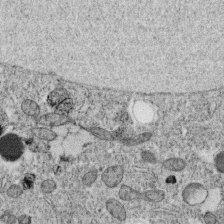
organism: C. elegans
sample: C. elegans oocyte; sperm cells